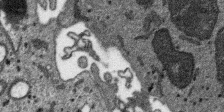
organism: Human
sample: Lung epithelial cells infected with SARS-CoV-2